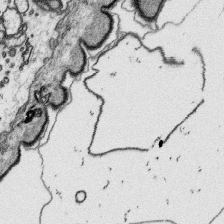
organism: Platynereis dumerilii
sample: Parapodia